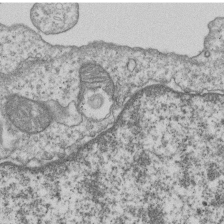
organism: Human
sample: MDA-MB-231 cells